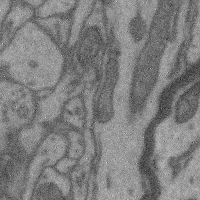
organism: Mouse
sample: Cerebral cortex